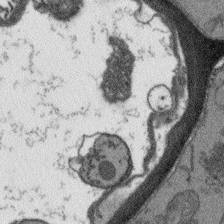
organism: Arabidopsis thaliana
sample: Root tip